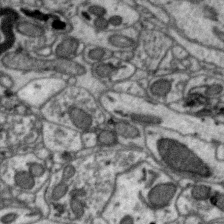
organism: Zebra finch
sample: Brain